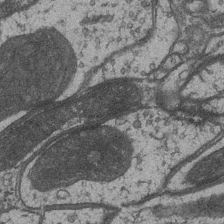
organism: Drosophila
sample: Optic medulla